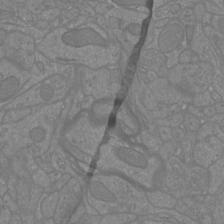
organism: Mouse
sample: Cortical neurons